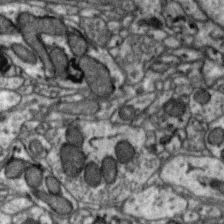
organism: Zebra finch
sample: Brain